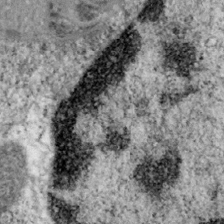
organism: Mouse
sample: OT-I killer T cells with ID8 ovarian cancer cells